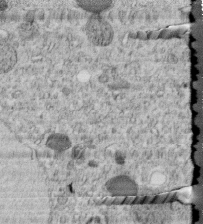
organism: C. elegans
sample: C. elegans embryo early stage